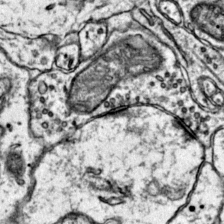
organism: Mouse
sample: Primary visual cortex